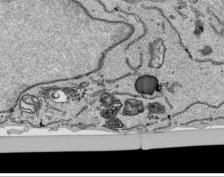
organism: Human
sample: Mitochondria in HCT116 cells